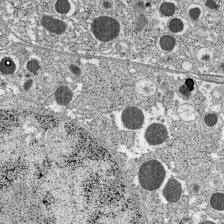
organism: C57BL Mouse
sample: Pancreatic islet